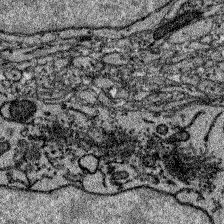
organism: Zebrafish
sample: Larval olfactory bulb